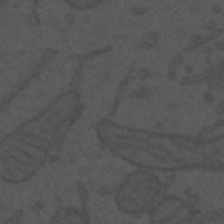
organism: Mouse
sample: Suprachiasmatic nucleus